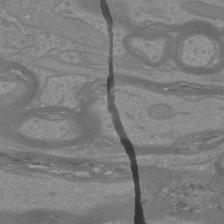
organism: Mouse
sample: Cortical neurons